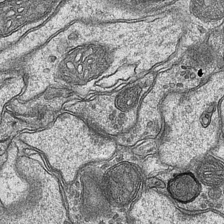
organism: Mouse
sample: CA1 Hippocampus